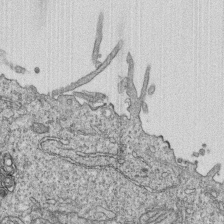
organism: Human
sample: HeLa cell HIV synapse